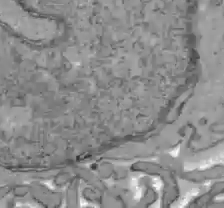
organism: C57BL Mouse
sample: Liver